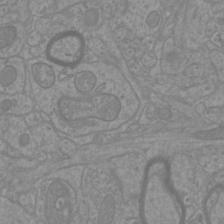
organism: Mouse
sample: Cortical neurons